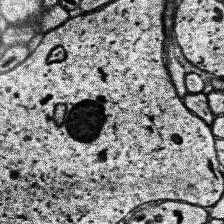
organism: Human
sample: Temporal Lobe